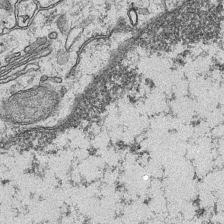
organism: Mouse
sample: CA1 Hippocampus